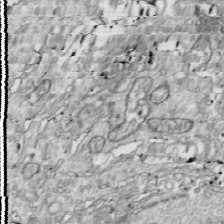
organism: Drosophila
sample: Cell division; meiosis; drosophila spermatocytes